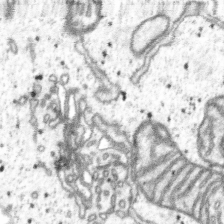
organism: Human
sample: HeLa cells